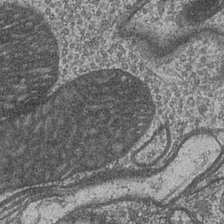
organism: Drosophila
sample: Optic medulla